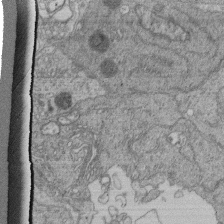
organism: Human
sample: Retinal organoid Rod and Cone cells